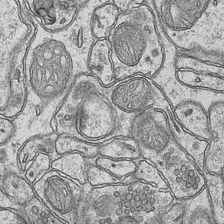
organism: Mouse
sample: CA1 Hippocampus